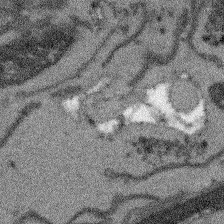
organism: Arabidopsis thaliana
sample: Root tip